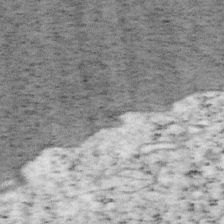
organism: Mouse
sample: OT-I killer T cells with ID8 ovarian cancer cells